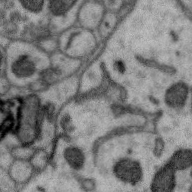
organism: Zebra finch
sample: Brain